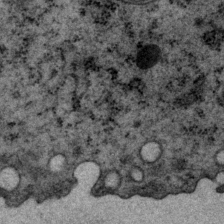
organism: P. pacificus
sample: Pharynx